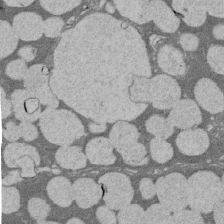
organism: Rat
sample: Salivary granule